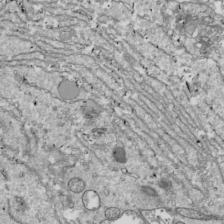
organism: Drosophila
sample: Cell division; meiosis; drosophila spermatocytes